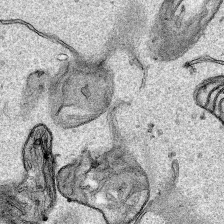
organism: Human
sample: Mitochondria in HCT116 cells